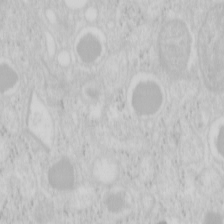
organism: Mouse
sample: Pancreas